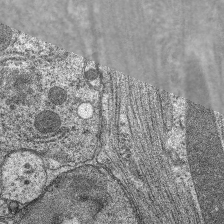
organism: C. elegans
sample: Pharynx